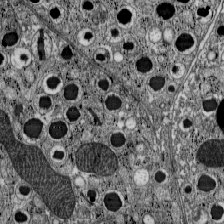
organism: C57BL Mouse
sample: Pancreatic islet